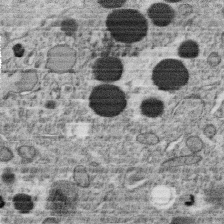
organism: C. elegans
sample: C. elegans oocyte; sperm cells